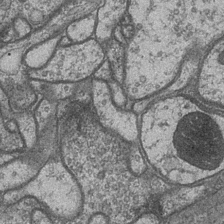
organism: Drosophila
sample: Optic medulla